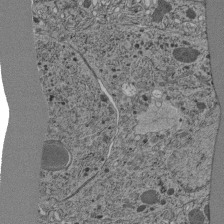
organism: C. elegans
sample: C. elegans pharynx